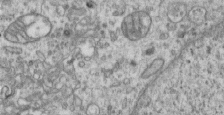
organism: Human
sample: Centriole in RPE cells